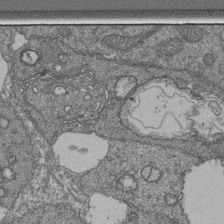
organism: Human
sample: Retinal organoid Rod and Cone cells